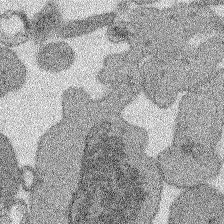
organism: Human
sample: HeLa cells